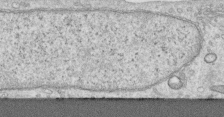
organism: Human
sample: Centriole in RPE cells